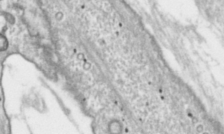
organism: Toxoplasma gondii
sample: Parasites in a vacuole inside a host cell